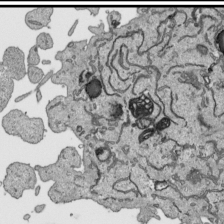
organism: Human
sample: Mitochondria in HCT116 cells